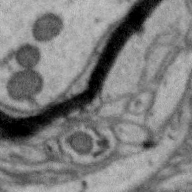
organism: Zebra finch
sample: Brain